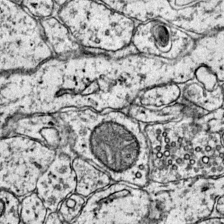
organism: Mouse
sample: Primary visual cortex